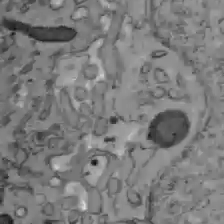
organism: C57BL Mouse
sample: Liver